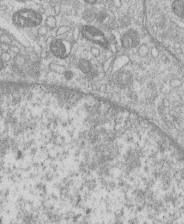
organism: Human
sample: Macrophage cells